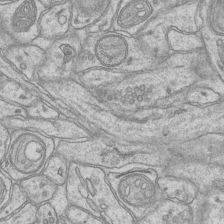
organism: Mouse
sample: CA1 Hippocampus